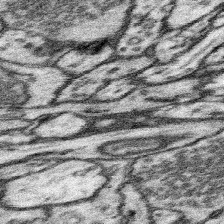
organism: Mouse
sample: Somatosensory cortex neuropil